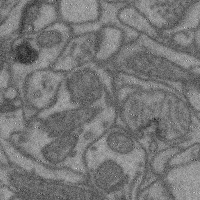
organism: Mouse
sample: Cerebral cortex